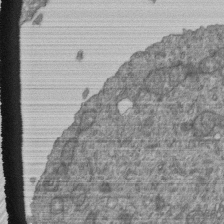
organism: Human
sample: Retinal organoid Rod and Cone cells